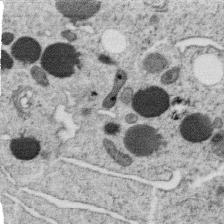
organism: C. elegans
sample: C. elegans oocyte; sperm cells